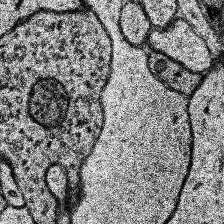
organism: Human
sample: Temporal Lobe